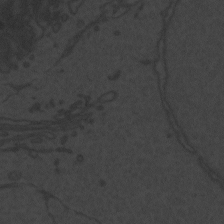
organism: Zebrafish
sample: Macrophage infected with Toxoplasma gondii